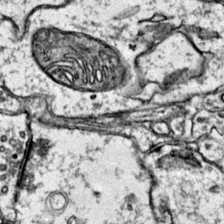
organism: Mouse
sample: Primary visual cortex